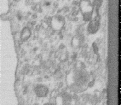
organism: Human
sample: Centriole in RPE cells